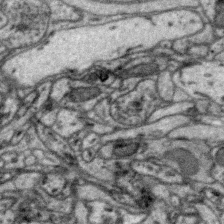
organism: Zebra finch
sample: Brain